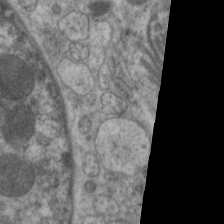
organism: C. elegans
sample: Pharynx